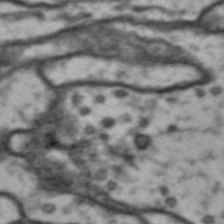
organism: Drosophila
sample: Brain